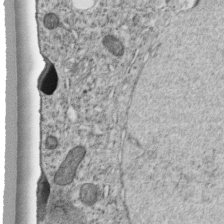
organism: C. elegans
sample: C. elegans embryo early stage